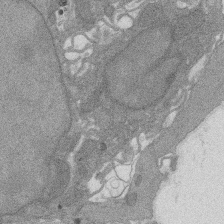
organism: Rat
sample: Salivary granule